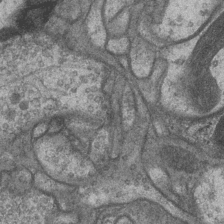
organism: Drosophila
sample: Optic medulla